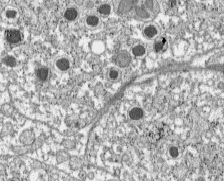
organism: C57BL Mouse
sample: Pancreatic islet